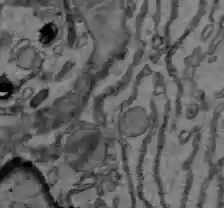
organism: C57BL Mouse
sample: Liver